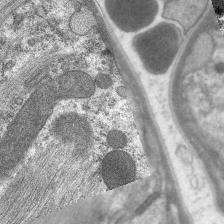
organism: C. elegans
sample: Pharynx